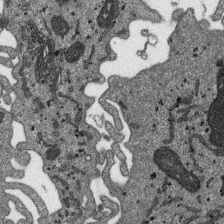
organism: Human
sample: Lung epithelial cells infected with SARS-CoV-2